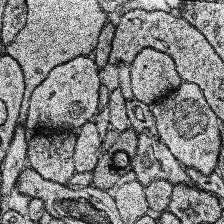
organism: Human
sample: Temporal Lobe